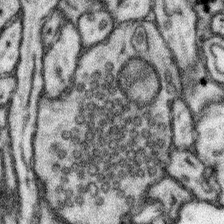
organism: Mouse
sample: Somatosensory cortex neuropil